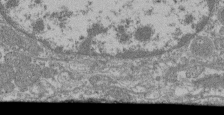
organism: Mouse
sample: Glomerulus